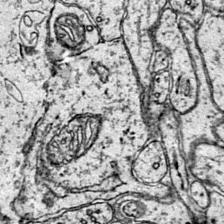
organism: Mouse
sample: Primary visual cortex